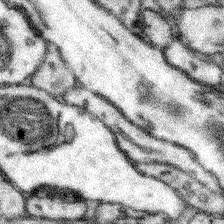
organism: Mouse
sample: Somatosensory cortex neuropil